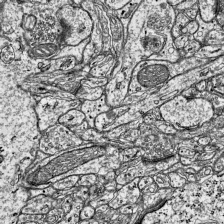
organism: Mouse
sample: Visual Cortex